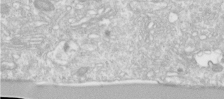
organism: Human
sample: Centriole in RPE cells